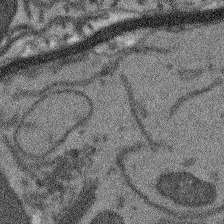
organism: Arabidopsis thaliana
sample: Root tip